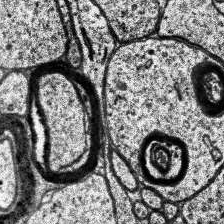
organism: Human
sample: Temporal Lobe